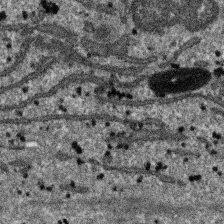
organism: Human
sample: Lung epithelial cells infected with SARS-CoV-2